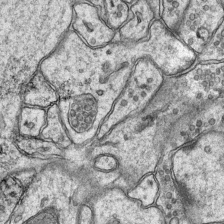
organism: Mouse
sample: CA1 Hippocampus